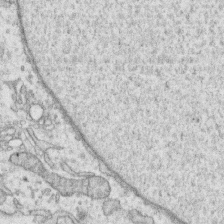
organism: Human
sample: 1205lu cells